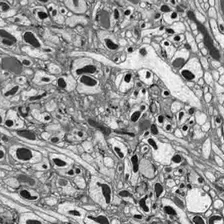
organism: Drosophila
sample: Optic lobe